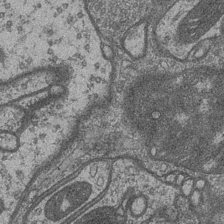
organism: Drosophila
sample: Optic medulla